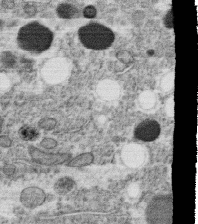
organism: C. elegans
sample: C. elegans oocyte; sperm cells